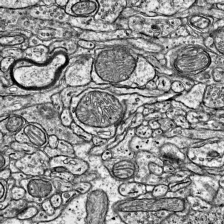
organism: Mouse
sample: Visual Cortex